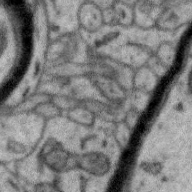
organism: Zebra finch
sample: Brain